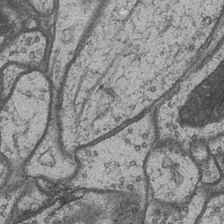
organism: Drosophila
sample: Optic medulla